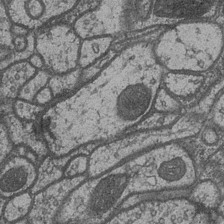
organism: Drosophila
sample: Optic medulla